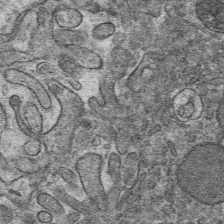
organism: Mouse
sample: Mouse hepatocytes